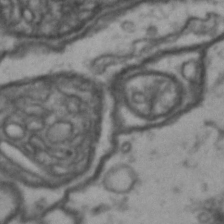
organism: Drosophila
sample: Brain